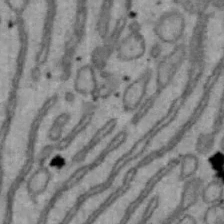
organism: Mouse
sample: Liver